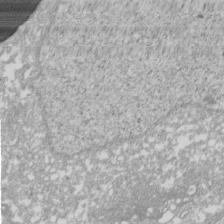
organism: Xenopus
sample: Cilia; centrioles in frog embryo cells